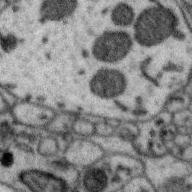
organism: Zebra finch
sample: Brain